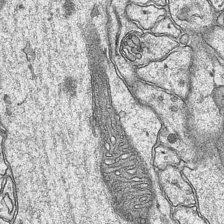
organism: Mouse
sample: CA1 Hippocampus